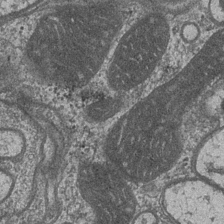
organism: Drosophila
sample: Optic medulla